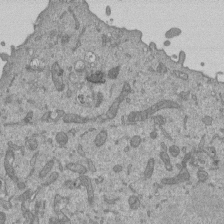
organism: Mouse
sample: ED-1 cell nuclei; centrioles